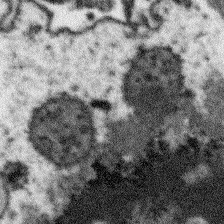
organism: Arabidopsis thaliana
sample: Root tip